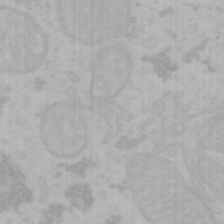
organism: Mouse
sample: Choroid plexus